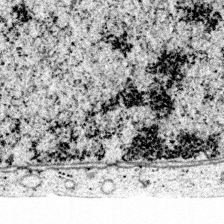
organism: Human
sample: HeLa cells